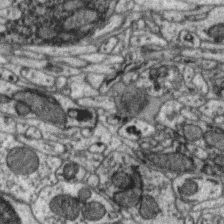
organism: Zebra finch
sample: Brain